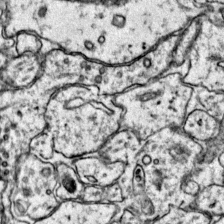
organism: Mouse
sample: Primary visual cortex